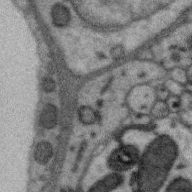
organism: Zebra finch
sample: Brain